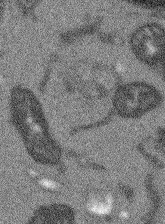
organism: Arabidopsis thaliana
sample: Root tip